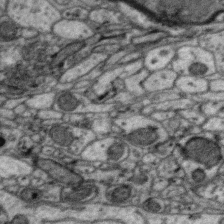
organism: Zebra finch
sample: Brain